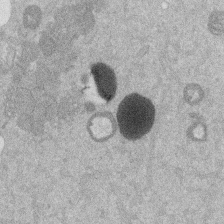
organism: Mouse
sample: Dividing mouse embryo 1 cell stage